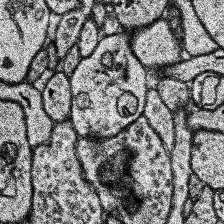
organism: Human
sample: Temporal Lobe